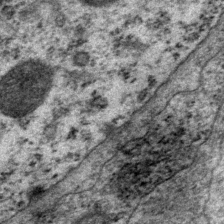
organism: P. pacificus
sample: Pharynx